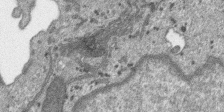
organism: Human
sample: Lung epithelial cells infected with SARS-CoV-2